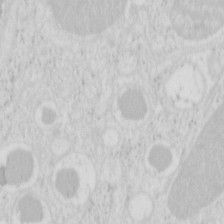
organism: Mouse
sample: Pancreas